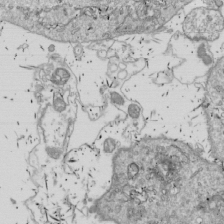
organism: Drosophila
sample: Cell division; meiosis; drosophila spermatocytes